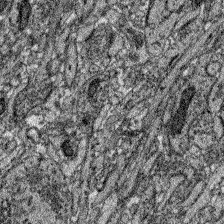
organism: Zebrafish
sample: Larval olfactory bulb